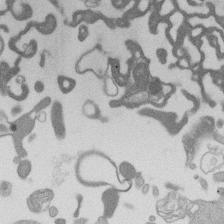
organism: Mouse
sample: Dividing mouse embryo 1 cell stage